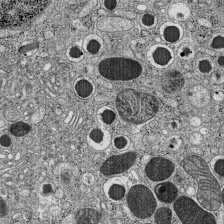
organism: C57BL Mouse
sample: Pancreatic islet